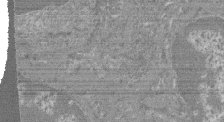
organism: Mouse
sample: Glomerulus